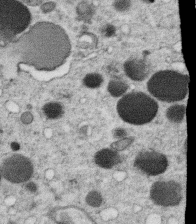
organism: C. elegans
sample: C. elegans oocyte; sperm cells